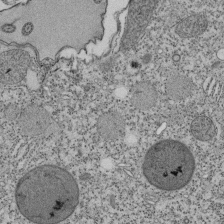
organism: Tetrahymena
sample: Cilia in tetrahymena